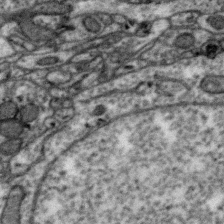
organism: Zebra finch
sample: Brain